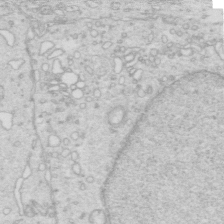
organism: Mouse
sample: Multiciliated cells